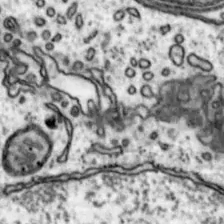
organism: Mouse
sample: Nucleus accumbens